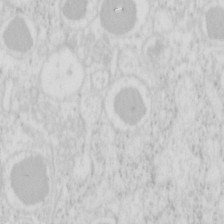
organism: Mouse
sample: Pancreas